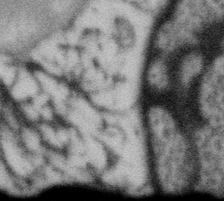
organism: Gemmata obscuriglobus